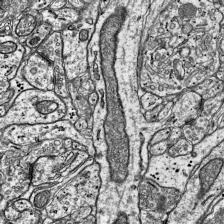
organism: Mouse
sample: Visual Cortex